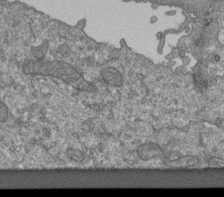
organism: Human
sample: Retinal organoid Rod and Cone cells